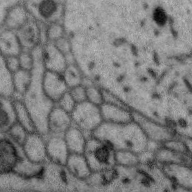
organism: Zebra finch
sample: Brain